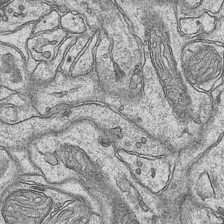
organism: Mouse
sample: CA1 Hippocampus